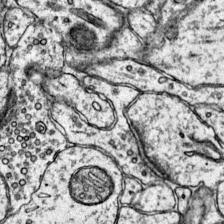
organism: Mouse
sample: Primary visual cortex